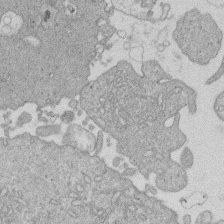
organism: Human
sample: Macrophage cells